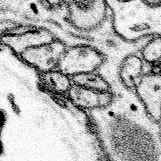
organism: Mouse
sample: Somatosensory cortex neuropil